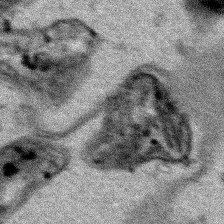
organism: Human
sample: Mitochondria in HCT116 cells